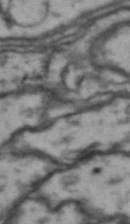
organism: Drosophila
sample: Brain